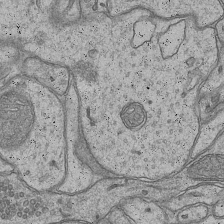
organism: Mouse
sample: CA1 Hippocampus